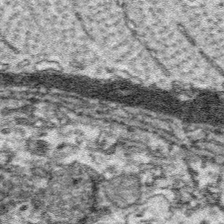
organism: Platynereis dumerilii